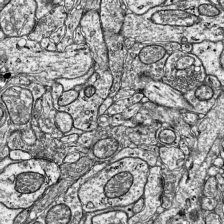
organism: Mouse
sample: Visual Cortex